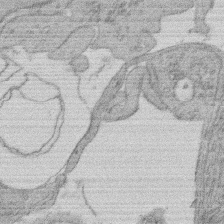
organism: Rat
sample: Salivary granule